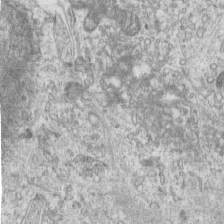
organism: Human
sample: Centriole in RPE cells